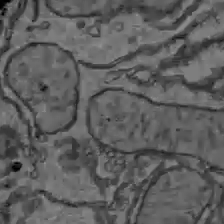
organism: C57BL Mouse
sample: Liver